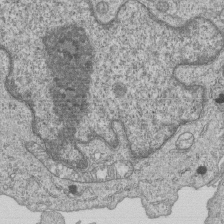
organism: Human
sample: MDA-MB-231 cells